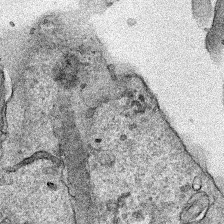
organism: Human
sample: Mitochondria in HCT116 cells